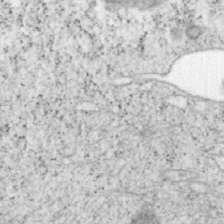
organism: Mouse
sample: OT-I killer T cells with ID8 ovarian cancer cells